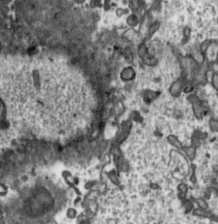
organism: Toxoplasma gondii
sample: Parasites in a vacuole inside a host cell